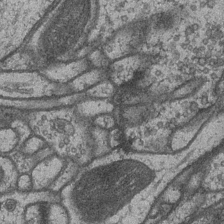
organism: Drosophila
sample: Optic medulla